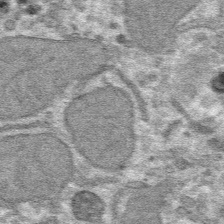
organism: Mouse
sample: Mouse hepatocytes